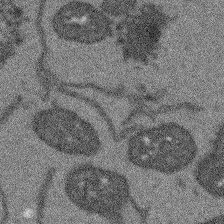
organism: Arabidopsis thaliana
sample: Root tip